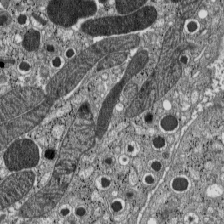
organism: C57BL Mouse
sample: Pancreatic islet